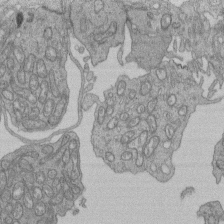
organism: Human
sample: Retinal organoid Rod and Cone cells